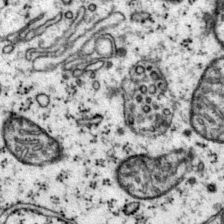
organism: Mouse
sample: Primary visual cortex